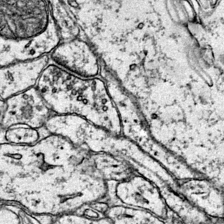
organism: Mouse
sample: Primary visual cortex